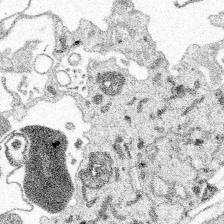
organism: Spongilla lacustris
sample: Multiple